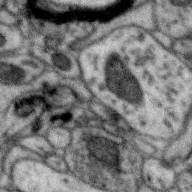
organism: Zebra finch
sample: Brain